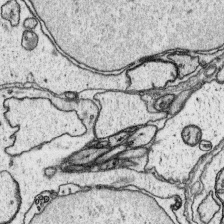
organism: Platynereis dumerilii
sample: Parapodia